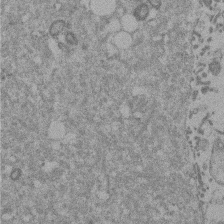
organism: Mouse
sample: Dividing mouse embryo 1 cell stage